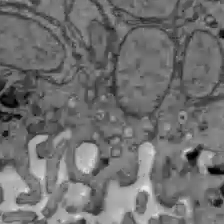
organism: C57BL Mouse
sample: Liver